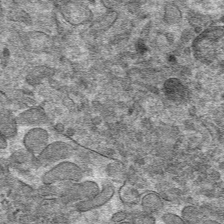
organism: Mouse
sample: Mouse hepatocytes